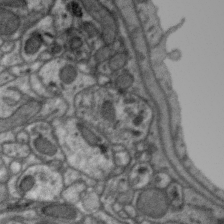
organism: Zebra finch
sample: Brain